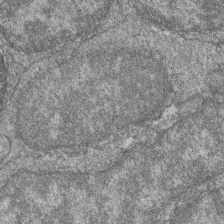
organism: Zebrafish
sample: Cilia; retinal pigment epithelium